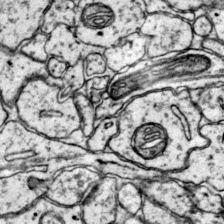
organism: Mouse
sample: Primary visual cortex